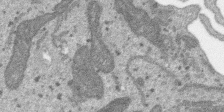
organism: Human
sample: Lung epithelial cells infected with SARS-CoV-2